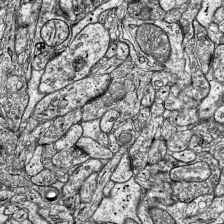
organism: Mouse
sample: Visual Cortex